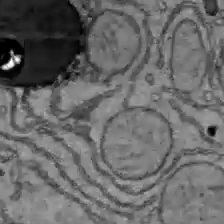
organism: C57BL Mouse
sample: Liver